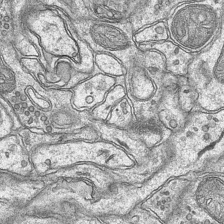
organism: Mouse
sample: CA1 Hippocampus